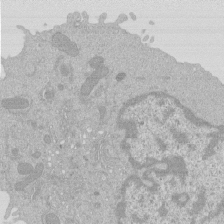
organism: Mouse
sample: Activated Pmel transgenic CD8+ T Cells